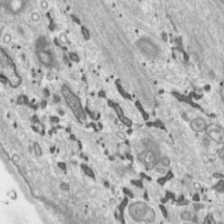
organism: Toxoplasma gondii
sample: Parasites in a vacuole inside a host cell